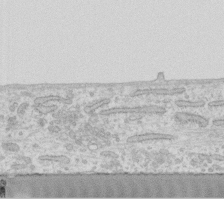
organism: Human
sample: Fibroblast cells